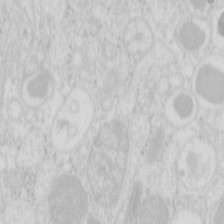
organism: Mouse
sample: Pancreas